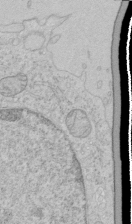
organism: Human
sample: Mitochondria in HCT116 cells